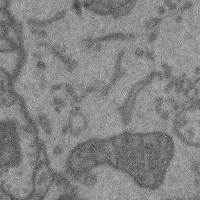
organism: Mouse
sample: Cerebral cortex